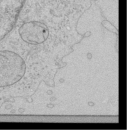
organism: Human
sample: Mitochondria in HCT116 cells